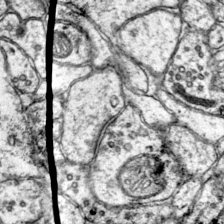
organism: Mouse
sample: Primary visual cortex